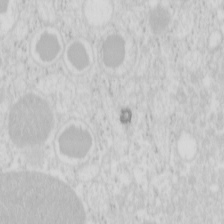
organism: Mouse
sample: Pancreas